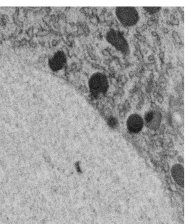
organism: C. elegans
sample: C. elegans oocyte; sperm cells